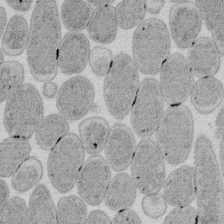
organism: E. coli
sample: Bacterial nucleoid